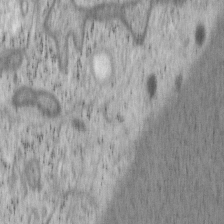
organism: Human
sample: HeLa cells